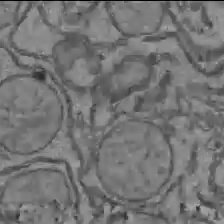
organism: C57BL Mouse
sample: Liver